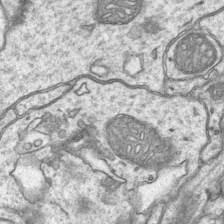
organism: Mouse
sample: CA1 Hippocampus